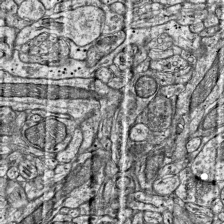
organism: Mouse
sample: Visual Cortex